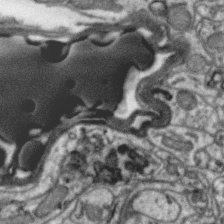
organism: Zebra finch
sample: Brain